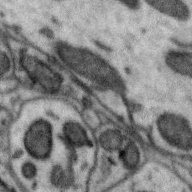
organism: Zebra finch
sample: Brain